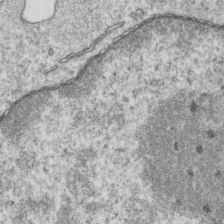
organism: Mouse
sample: Activated OT-1 CD8+ T cells